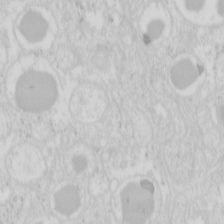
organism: Mouse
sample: Pancreas